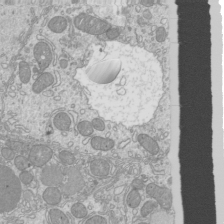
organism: Mouse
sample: Cilia; mouse epididymis